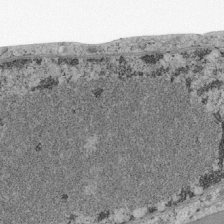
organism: Human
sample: HeLa cells